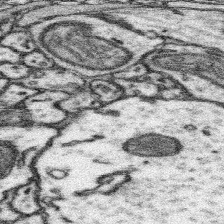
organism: Mouse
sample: Somatosensory cortex neuropil